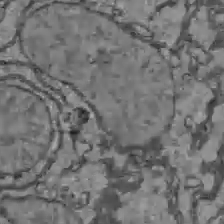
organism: C57BL Mouse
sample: Liver